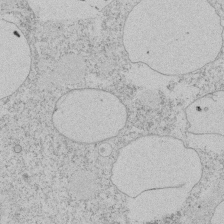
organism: Tetrahymena